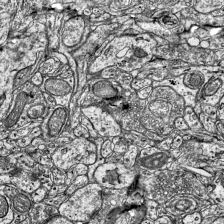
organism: Mouse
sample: Visual Cortex